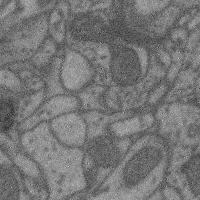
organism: Mouse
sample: Cerebral cortex